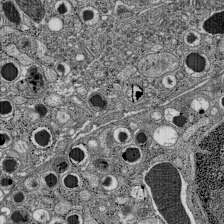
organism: C57BL Mouse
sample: Pancreatic islet